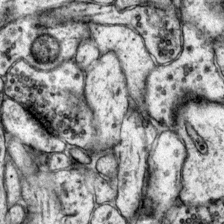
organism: Mouse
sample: Primary visual cortex